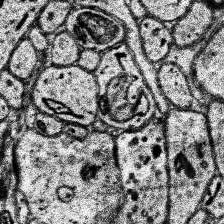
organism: Human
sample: Temporal Lobe